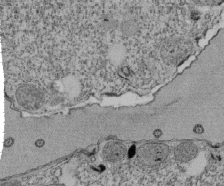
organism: Tetrahymena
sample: Cilia in tetrahymena